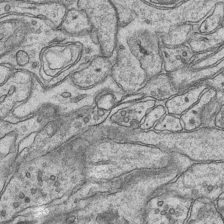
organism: Mouse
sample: CA1 Hippocampus